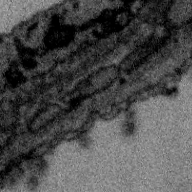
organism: Zebra finch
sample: Brain